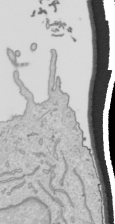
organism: Human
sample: Mitochondria in HCT116 cells